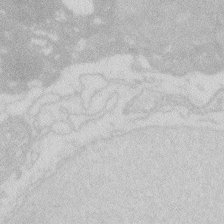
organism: Zebrafish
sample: Macrophage